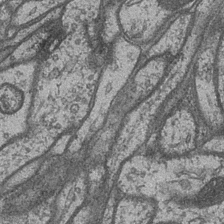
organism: Drosophila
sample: Optic medulla